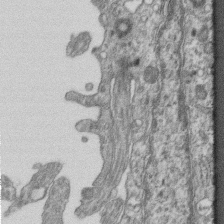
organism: Mouse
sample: Centriole in ependymal cells